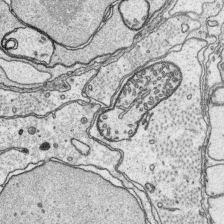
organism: Platynereis dumerilii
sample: Parapodia